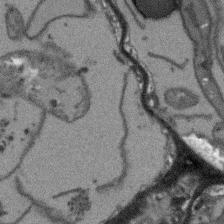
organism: Arabidopsis thaliana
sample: Root tip